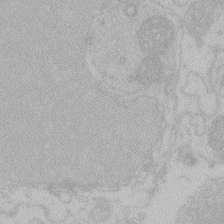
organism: Zebrafish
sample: Macrophage infected with Toxoplasma gondii